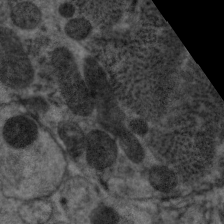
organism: C. elegans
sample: Pharynx